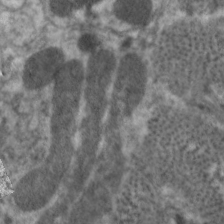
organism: C. elegans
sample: Pharynx